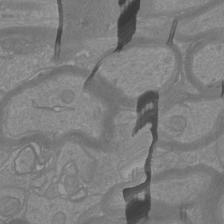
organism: Mouse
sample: Cortical neurons